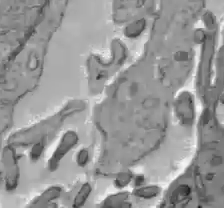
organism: C57BL Mouse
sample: Liver